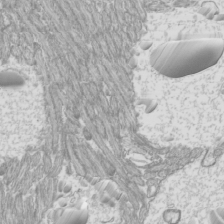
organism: Mouse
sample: Cilia; mouse epididymis